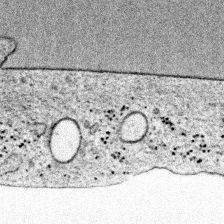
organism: Human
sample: HeLa cells